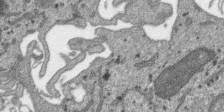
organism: Human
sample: Lung epithelial cells infected with SARS-CoV-2